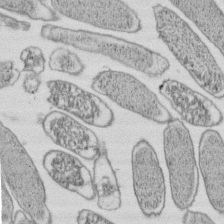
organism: E. coli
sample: Bacterial nucleoid